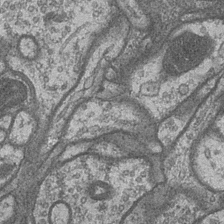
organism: Drosophila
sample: Optic medulla